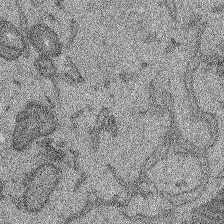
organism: Human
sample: HeLa cells